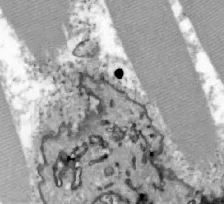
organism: Zebrafish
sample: Actinotrichia fibers